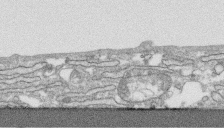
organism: Human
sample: CRL-1474